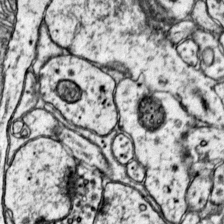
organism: Mouse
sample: Primary visual cortex